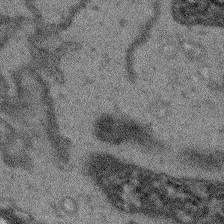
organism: Arabidopsis thaliana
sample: Root tip